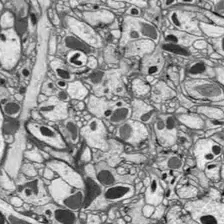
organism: Drosophila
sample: Optic lobe